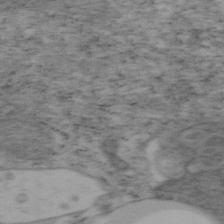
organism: Mouse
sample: OT-I killer T cells with ID8 ovarian cancer cells